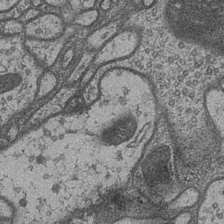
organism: Drosophila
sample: Optic medulla